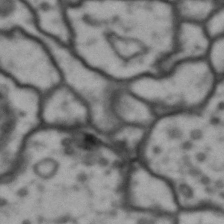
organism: Drosophila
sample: Brain